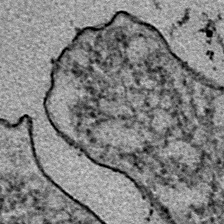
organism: E. coli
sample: E. Coli Bacteria